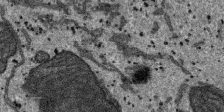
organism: Human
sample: Lung epithelial cells, uninfected (mock) control